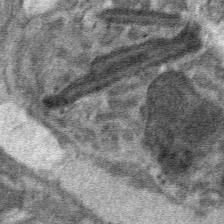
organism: Mouse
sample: Mouse hepatocytes